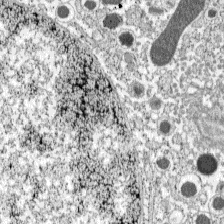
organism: C57BL Mouse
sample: Pancreatic islet